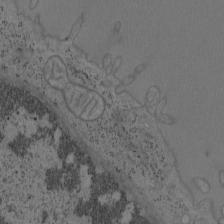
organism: Mouse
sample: OT-I killer T cells with ID8 ovarian cancer cells